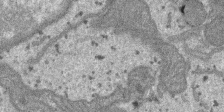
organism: Human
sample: Lung epithelial cells infected with SARS-CoV-2